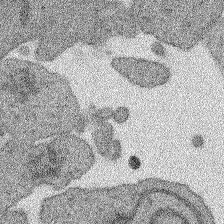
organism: Human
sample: HeLa cells